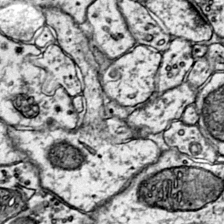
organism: Mouse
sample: Primary visual cortex